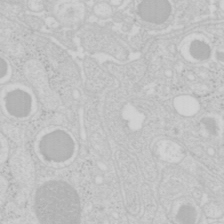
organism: Mouse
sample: Pancreas